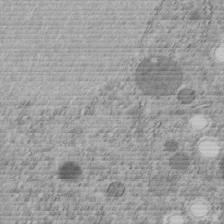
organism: C. elegans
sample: C. elegans embryo early stage